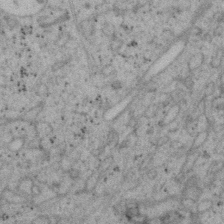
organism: Human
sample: HeLa cells